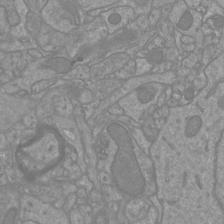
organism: Mouse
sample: Cortical neurons